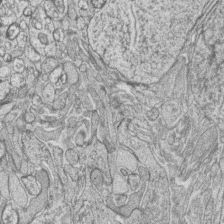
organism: Zebrafish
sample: synaptic ribbons in rod cells and cone cells